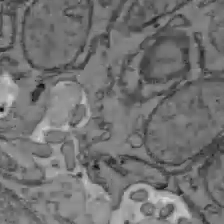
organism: C57BL Mouse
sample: Liver